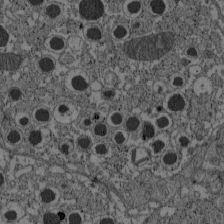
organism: C57BL Mouse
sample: Pancreatic islet